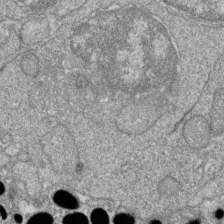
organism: Zebrafish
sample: Cilia; retinal pigment epithelium